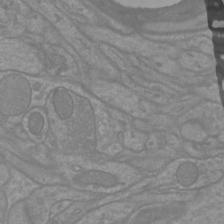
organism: Mouse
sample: Cortical neurons